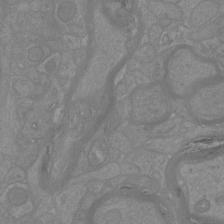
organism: Mouse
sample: Cortical neurons